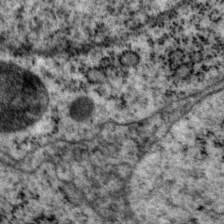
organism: P. pacificus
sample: Pharynx